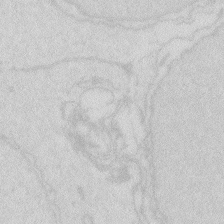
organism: Zebrafish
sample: Macrophage